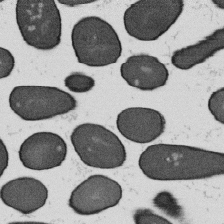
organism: B. subtilis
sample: Bacterial spore